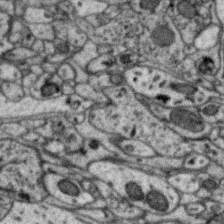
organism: Zebra finch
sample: Brain